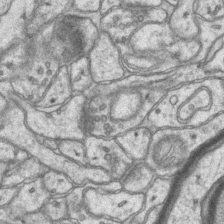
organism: Mouse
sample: CA1 Hippocampus